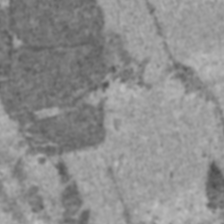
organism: C57BL Mouse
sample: Heart